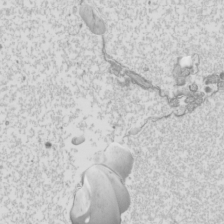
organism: Mouse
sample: Cilia; mouse epididymis